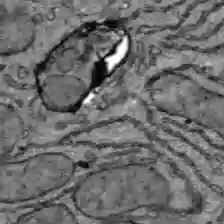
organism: C57BL Mouse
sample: Liver